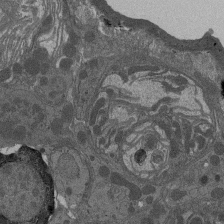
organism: Drosophila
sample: Antenna